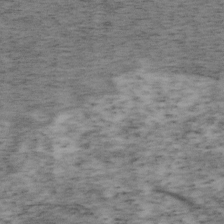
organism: Mouse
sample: OT-I killer T cells with ID8 ovarian cancer cells